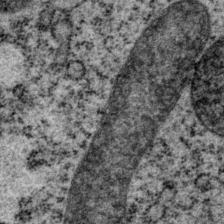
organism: P. pacificus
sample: Pharynx